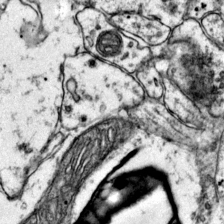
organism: Mouse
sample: Primary visual cortex